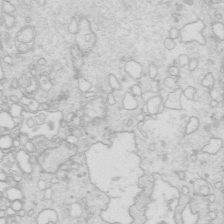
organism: Mouse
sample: Multiciliated cells